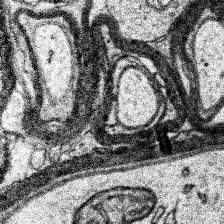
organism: Human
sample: Temporal Lobe